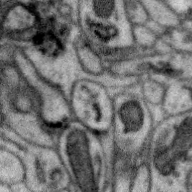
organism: Zebra finch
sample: Brain